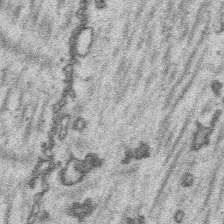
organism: Platynereis dumerilii